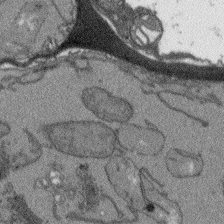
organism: Arabidopsis thaliana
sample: Root tip